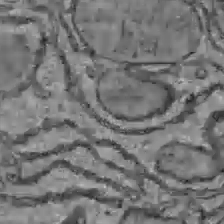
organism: C57BL Mouse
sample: Liver